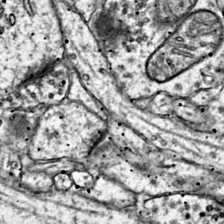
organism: Mouse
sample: Primary visual cortex